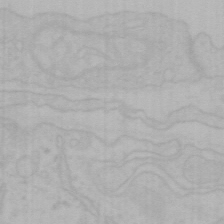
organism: Mouse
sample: Choroid plexus